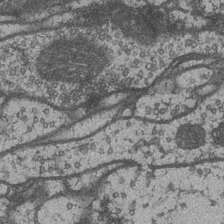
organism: Drosophila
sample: Optic medulla